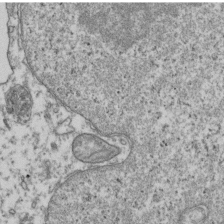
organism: Human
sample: Activated Jurkat CD4+ T cells